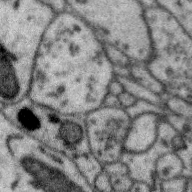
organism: Zebra finch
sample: Brain